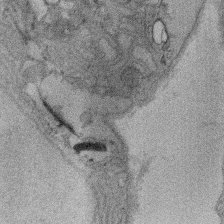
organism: Rat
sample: Salivary granule